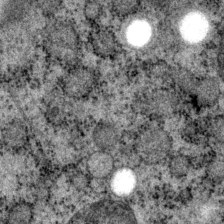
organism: P. pacificus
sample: Pharynx